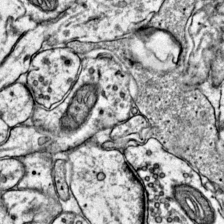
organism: Mouse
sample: Primary visual cortex